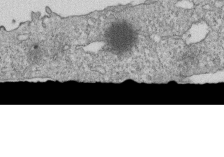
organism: Human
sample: HeLa cell HIV synapse